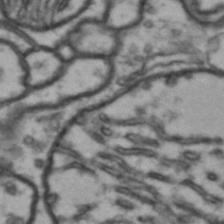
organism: Drosophila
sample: Brain